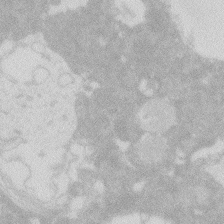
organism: Zebrafish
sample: Macrophage